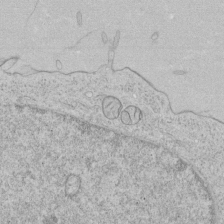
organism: Human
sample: Mitochondria in HCT116 cells